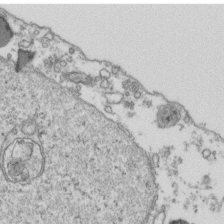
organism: Human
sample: Activated Jurkat CD4+ T cells